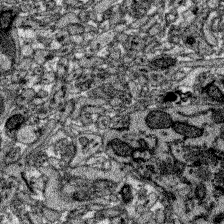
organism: Zebrafish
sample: Larval olfactory bulb